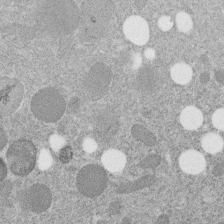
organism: C. elegans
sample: C. elegans embryo early stage